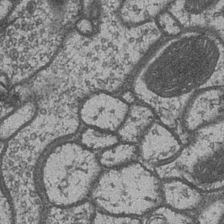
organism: Drosophila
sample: Optic medulla